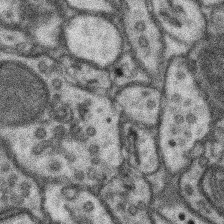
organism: Mouse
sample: Somatosensory cortex neuropil